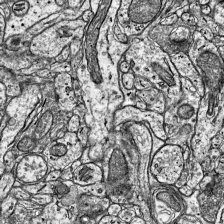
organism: Mouse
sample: Visual Cortex